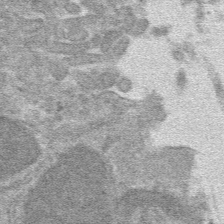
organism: Mouse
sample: Mouse hepatocytes